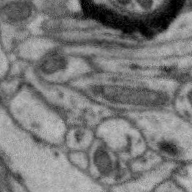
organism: Zebra finch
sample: Brain